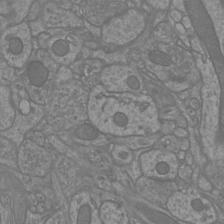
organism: Mouse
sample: Cortical neurons